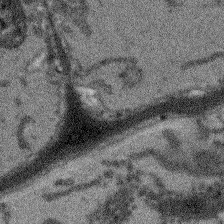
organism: Arabidopsis thaliana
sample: Root tip